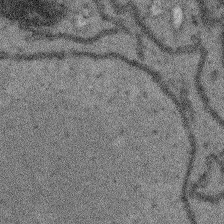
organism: Arabidopsis thaliana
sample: Root tip